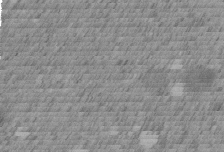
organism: C. elegans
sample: C. elegans embryo early stage